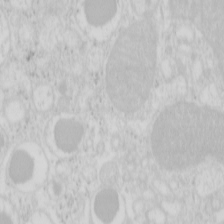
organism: Mouse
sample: Pancreas